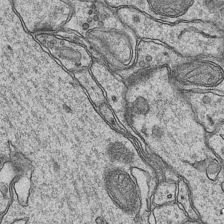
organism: Mouse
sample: CA1 Hippocampus